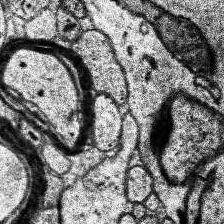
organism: Human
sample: Temporal Lobe